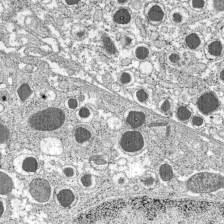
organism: C57BL Mouse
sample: Pancreatic islet